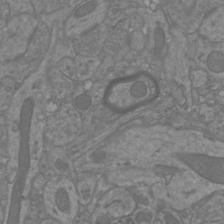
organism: Mouse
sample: Cortical neurons